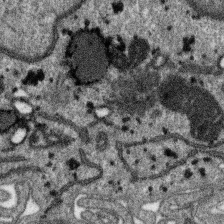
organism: Human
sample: Lung epithelial cells infected with SARS-CoV-2